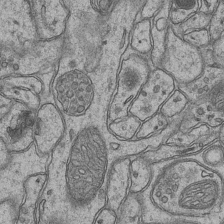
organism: Mouse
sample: CA1 Hippocampus